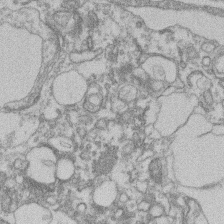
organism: Mouse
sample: T cell stromal cell synapse